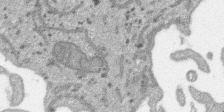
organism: Human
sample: Lung epithelial cells infected with SARS-CoV-2